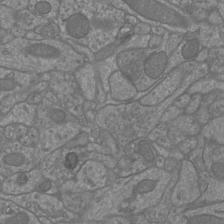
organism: Mouse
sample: Cortical neurons